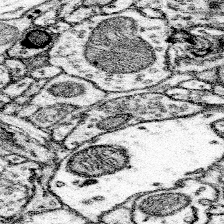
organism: Mouse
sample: Somatosensory cortex neuropil